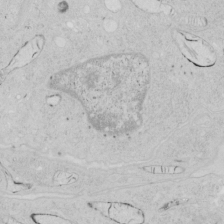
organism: Human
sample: Mitochondria in HCT116 cells